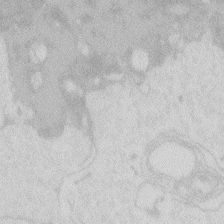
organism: Zebrafish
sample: Macrophage